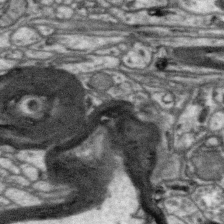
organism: Zebra finch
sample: Brain